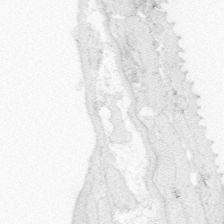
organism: Zebrafish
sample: Whole-Brain